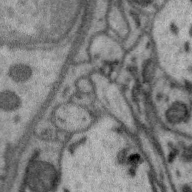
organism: Zebra finch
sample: Brain